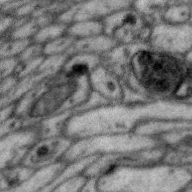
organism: Zebra finch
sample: Brain